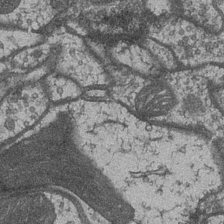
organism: Drosophila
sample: Optic medulla